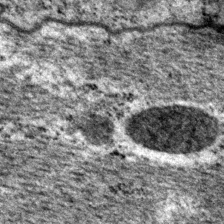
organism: P. pacificus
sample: Pharynx